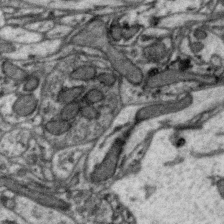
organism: Zebra finch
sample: Brain